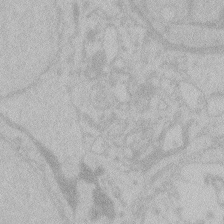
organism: Zebrafish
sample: Macrophage infected with Toxoplasma gondii